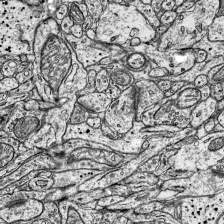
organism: Mouse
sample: Visual Cortex